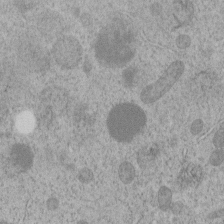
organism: C. elegans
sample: C. elegans embryo early stage